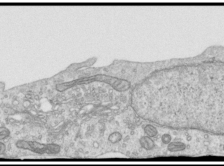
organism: Human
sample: Centriole in RPE cells